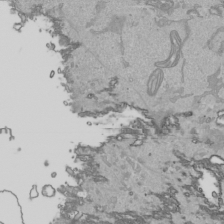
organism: Human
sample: Mitochondria in HCT116 cells